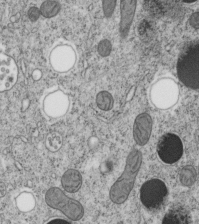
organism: C. elegans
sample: C. elegans embryo early stage